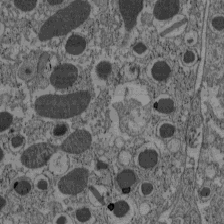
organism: C57BL Mouse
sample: Pancreatic islet